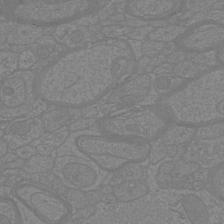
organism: Mouse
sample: Cortical neurons